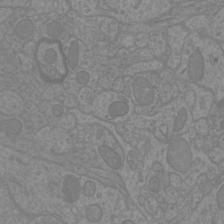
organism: Mouse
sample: Cortical neurons